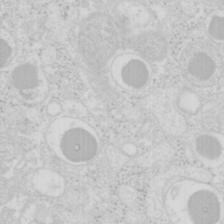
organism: Mouse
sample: Pancreas